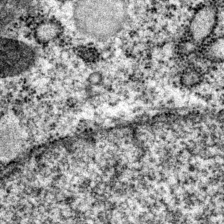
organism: P. pacificus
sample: Pharynx